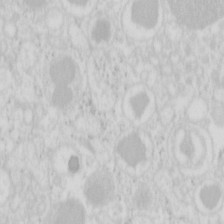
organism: Mouse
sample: Pancreas